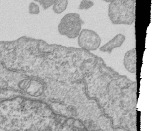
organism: Human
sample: MDA-MB-231 cells